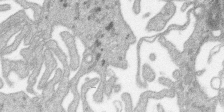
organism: Human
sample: Lung epithelial cells infected with SARS-CoV-2